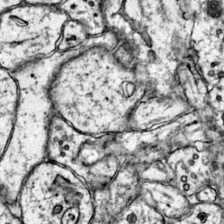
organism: Mouse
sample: Primary visual cortex